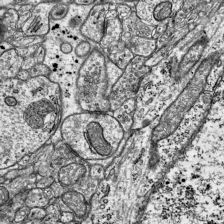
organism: Mouse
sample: Visual Cortex